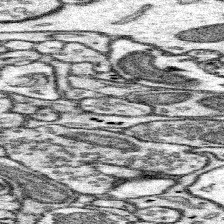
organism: Mouse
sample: Somatosensory cortex neuropil